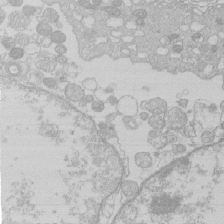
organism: Human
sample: Macrophage cells